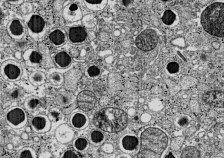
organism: C57BL Mouse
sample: Pancreatic islet